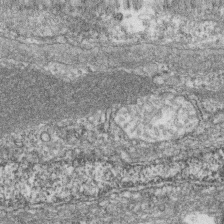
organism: Zebrafish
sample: Cilia; retinal pigment epithelium